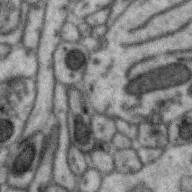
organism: Zebra finch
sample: Brain